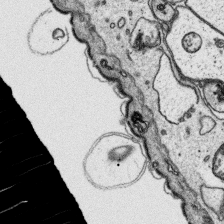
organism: Platynereis dumerilii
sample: Parapodia